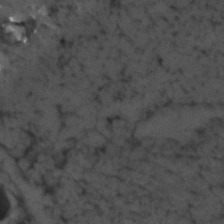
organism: Zebrafish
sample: Zebrafish embryo